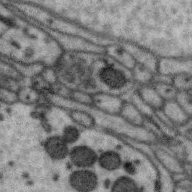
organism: Zebra finch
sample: Brain